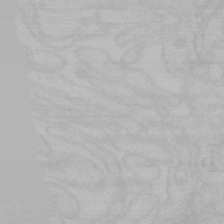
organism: Mouse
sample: Choroid plexus